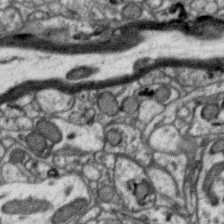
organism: Zebra finch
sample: Brain